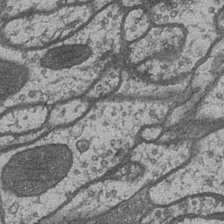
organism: Drosophila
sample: Optic medulla